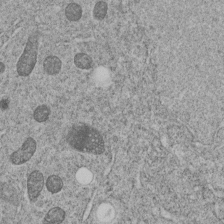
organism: C. elegans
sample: C. elegans embryo early stage